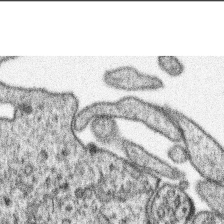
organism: Human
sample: HeLa cells